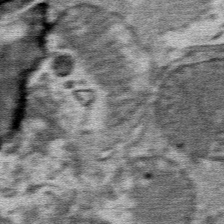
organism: Mouse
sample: Mouse Salivary gland